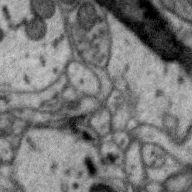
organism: Zebra finch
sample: Brain